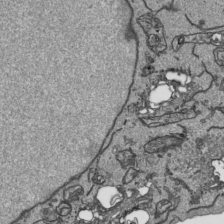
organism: Human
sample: Mitochondria in HCT116 cells